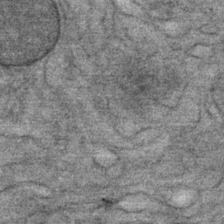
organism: Mouse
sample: Mouse Salivary gland